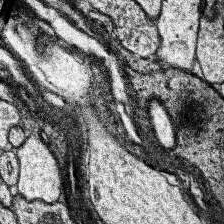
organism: Human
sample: Temporal Lobe